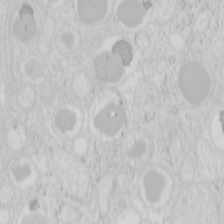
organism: Mouse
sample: Pancreas